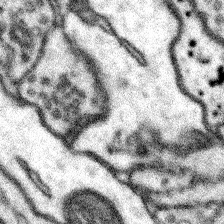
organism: Mouse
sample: Somatosensory cortex neuropil